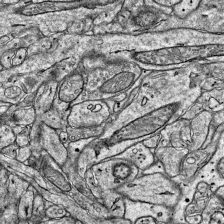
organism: Mouse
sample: Visual Cortex